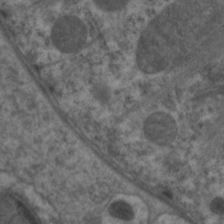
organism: C. elegans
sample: Pharynx